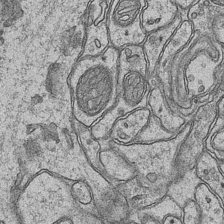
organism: Mouse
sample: CA1 Hippocampus